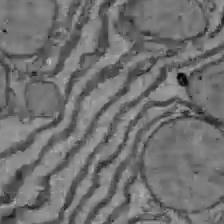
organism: C57BL Mouse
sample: Liver